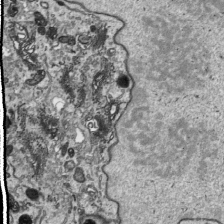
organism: Human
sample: Mitochondria in HCT116 cells